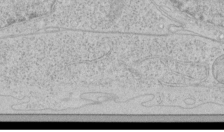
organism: Human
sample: Mitochondria in HCT116 cells